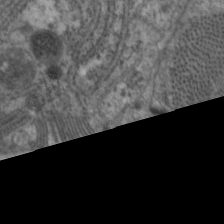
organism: C. elegans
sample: Pharynx